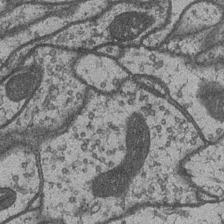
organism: Drosophila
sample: Optic medulla